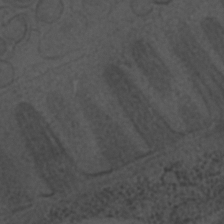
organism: C. elegans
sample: C. elegans embryo